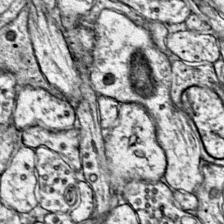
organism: Mouse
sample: Primary visual cortex